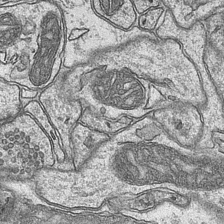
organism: Mouse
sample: CA1 Hippocampus